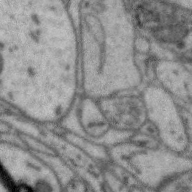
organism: Zebra finch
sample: Brain